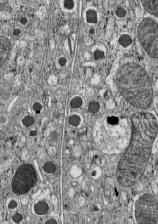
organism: C57BL Mouse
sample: Pancreatic islet